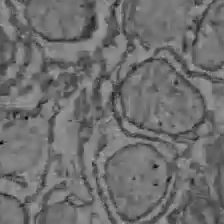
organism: C57BL Mouse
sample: Liver